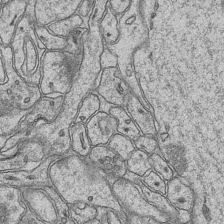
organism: Mouse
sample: CA1 Hippocampus